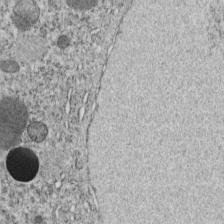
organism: C. elegans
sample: C. elegans embryo early stage